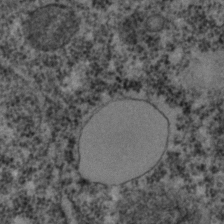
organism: C. elegans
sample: C. elegans embryo